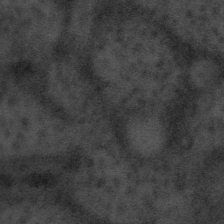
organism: Tuwongella immobilis